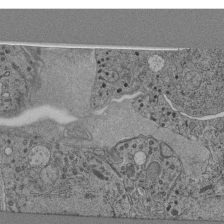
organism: C. elegans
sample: C. elegans pharynx